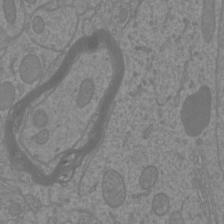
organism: Mouse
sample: Cortical neurons